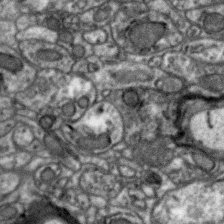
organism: Zebra finch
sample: Brain